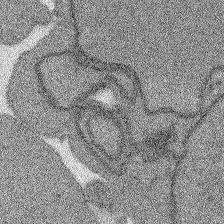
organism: Human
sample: HeLa cells